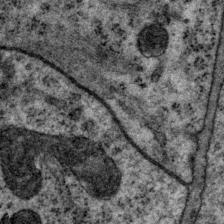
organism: P. pacificus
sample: Pharynx